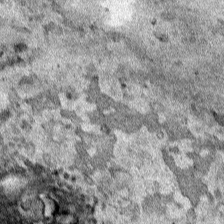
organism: Human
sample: Mitochondria in HCT116 cells